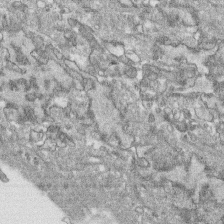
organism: Human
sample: CRL-1474